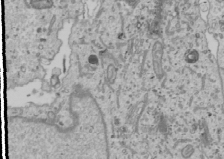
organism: Human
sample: Mitochondria in U2OS cells